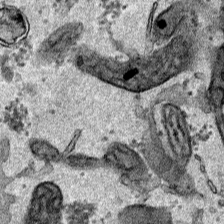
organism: Human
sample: Mitochondria in HCT116 cells